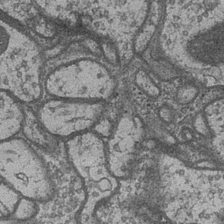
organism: Drosophila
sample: Optic medulla